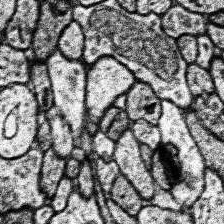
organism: Human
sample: Temporal Lobe